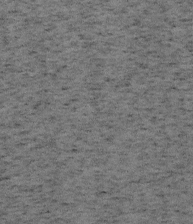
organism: Mouse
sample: OT-I killer T cells with ID8 ovarian cancer cells